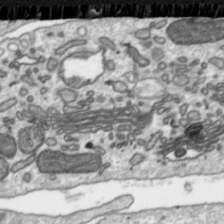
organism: Toxoplasma gondii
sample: Parasites in a vacuole inside a host cell